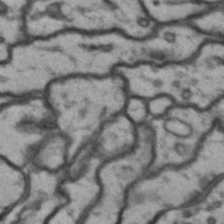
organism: Drosophila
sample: Brain